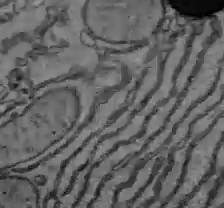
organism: C57BL Mouse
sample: Liver